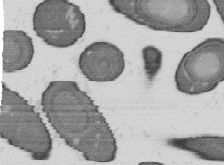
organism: B. subtilis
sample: Bacterial spore